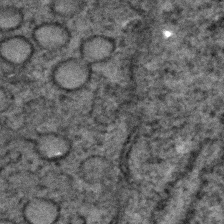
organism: C. elegans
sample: C. elegans embryo